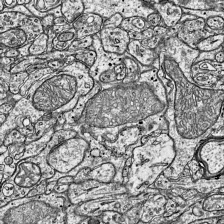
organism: Mouse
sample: Visual Cortex